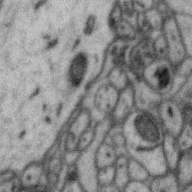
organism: Zebra finch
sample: Brain